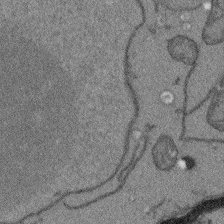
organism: Arabidopsis thaliana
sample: Root tip